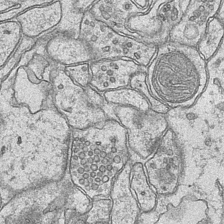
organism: Mouse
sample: CA1 Hippocampus